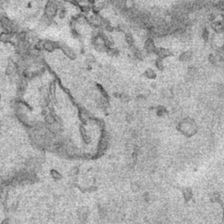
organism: Human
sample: Mitochondria in HCT116 cells